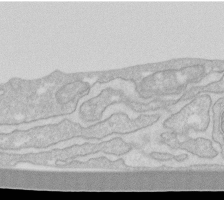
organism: Human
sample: Fibroblast cells